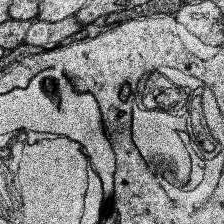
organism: Human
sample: Temporal Lobe